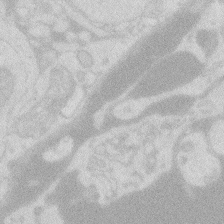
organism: Zebrafish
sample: Macrophage